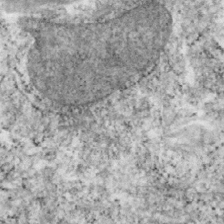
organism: Mouse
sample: OT-I killer T cells with ID8 ovarian cancer cells